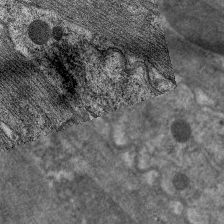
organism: C. elegans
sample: Pharynx